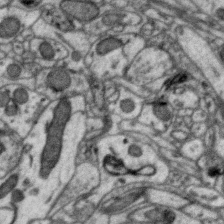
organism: Zebra finch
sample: Brain